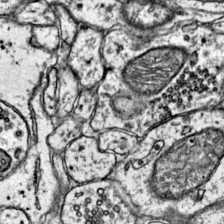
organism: Mouse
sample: Primary visual cortex